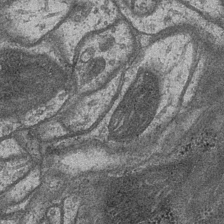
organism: Drosophila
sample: Optic medulla